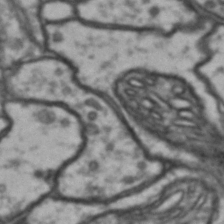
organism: Drosophila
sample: Brain